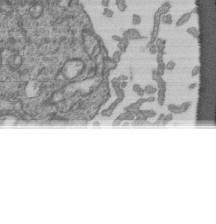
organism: Human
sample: Retinal organoid Rod and Cone cells